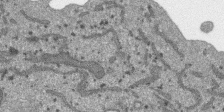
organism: Human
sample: Lung epithelial cells infected with SARS-CoV-2